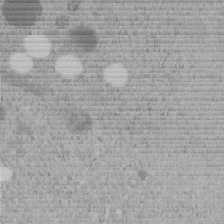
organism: C. elegans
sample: C. elegans embryo early stage